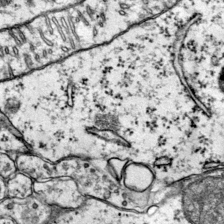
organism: Mouse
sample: Primary visual cortex